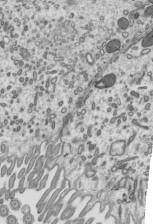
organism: Mouse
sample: Mouse epididymis efferent ductule cilia